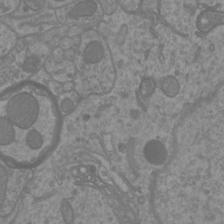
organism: Mouse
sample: Cortical neurons